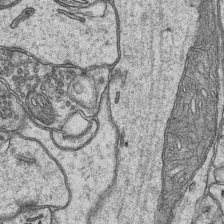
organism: Mouse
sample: CA1 Hippocampus